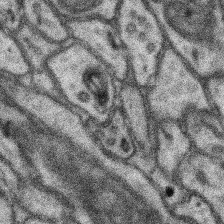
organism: Mouse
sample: Somatosensory cortex neuropil